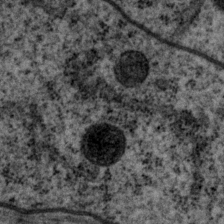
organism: P. pacificus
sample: Pharynx